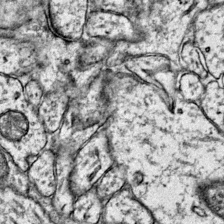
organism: Mouse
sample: Primary visual cortex